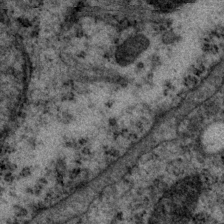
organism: P. pacificus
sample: Pharynx